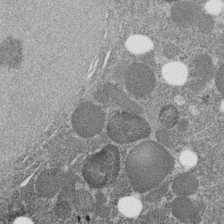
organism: C. elegans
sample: C. elegans embryo early stage